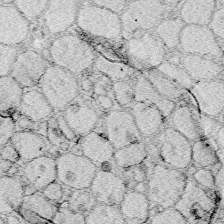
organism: Zebrafish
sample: Whole-Brain